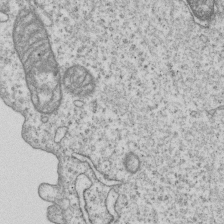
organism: Human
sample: MDA-MB-231 cells